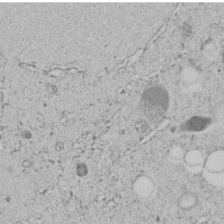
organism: C. elegans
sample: C. elegans embryo early stage